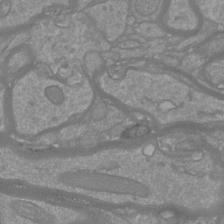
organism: Mouse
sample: Cortical neurons